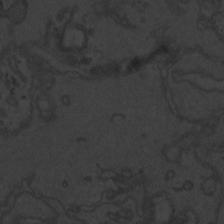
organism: Zebrafish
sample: Macrophage infected with Toxoplasma gondii